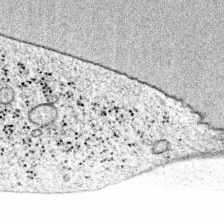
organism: Human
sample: HeLa cells